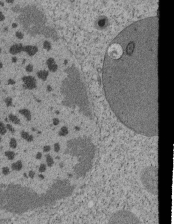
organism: Tetrahymena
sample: Cilia in tetrahymena